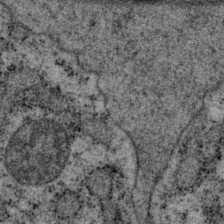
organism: P. pacificus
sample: Pharynx